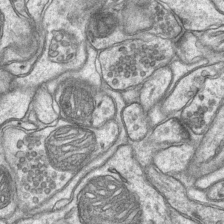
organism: Mouse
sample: CA1 Hippocampus